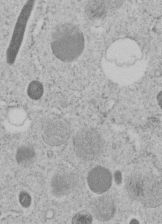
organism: C. elegans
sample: C. elegans embryo early stage